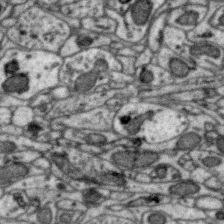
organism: Zebra finch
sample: Brain